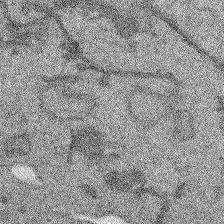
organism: Human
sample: HeLa cells